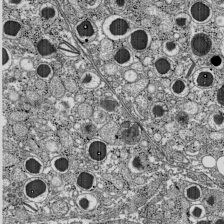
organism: C57BL Mouse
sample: Pancreatic islet